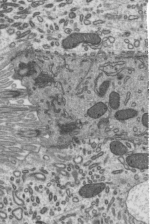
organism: Mouse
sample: Mouse epididymis efferent ductule cilia